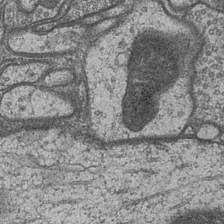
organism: Drosophila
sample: Optic medulla